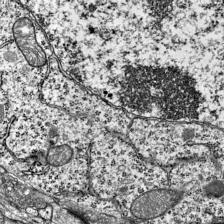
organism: Mouse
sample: Visual Cortex